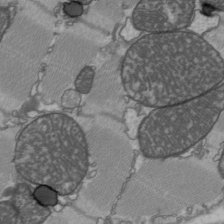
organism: C57BL Mouse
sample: Heart